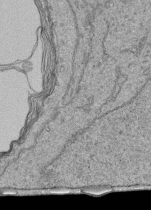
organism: Human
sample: Retinal organoid Rod and Cone cells